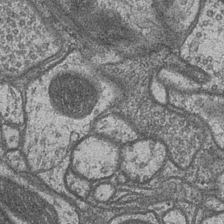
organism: Drosophila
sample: Optic medulla